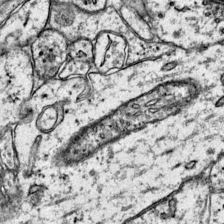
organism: Mouse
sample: Primary visual cortex